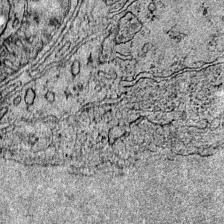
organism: Mouse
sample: Primary visual cortex